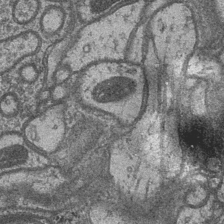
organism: Drosophila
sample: Optic medulla